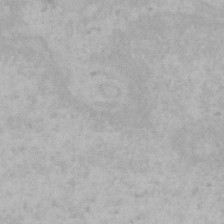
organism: Mouse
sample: Choroid plexus